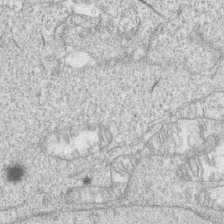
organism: Human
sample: HeLa cell HIV synapse